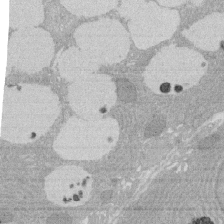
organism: Rat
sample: Salivary granule